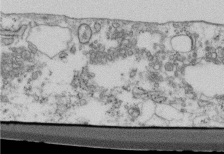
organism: Mouse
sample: Cilia; retinal pigment epithelium